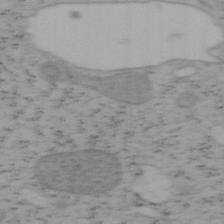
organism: Mouse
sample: OT-I killer T cells with ID8 ovarian cancer cells